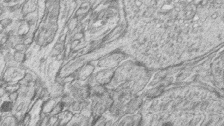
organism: Zebrafish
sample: synaptic ribbons in rod cells and cone cells